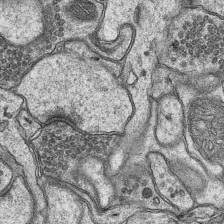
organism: Mouse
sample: CA1 Hippocampus